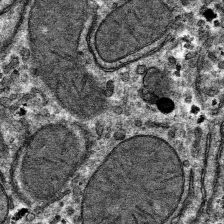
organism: Mouse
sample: Mouse hepatocytes